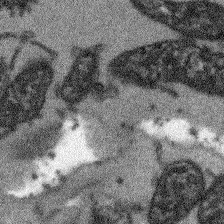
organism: Arabidopsis thaliana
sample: Root tip